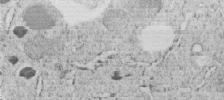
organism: C. elegans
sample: C. elegans embryo early stage